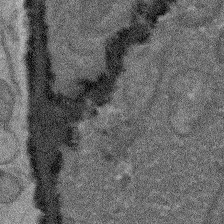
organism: Arabidopsis thaliana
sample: Root tip